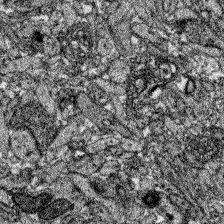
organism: Zebrafish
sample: Larval olfactory bulb